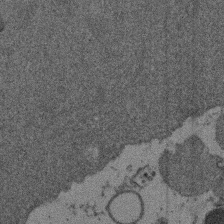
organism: Mouse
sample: Dividing mouse embryo 1 cell stage